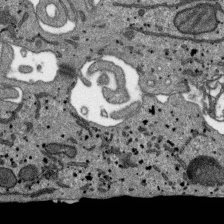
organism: Human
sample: Lung epithelial cells, uninfected (mock) control